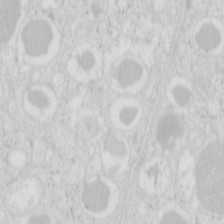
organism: Mouse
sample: Pancreas